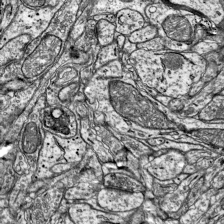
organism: Mouse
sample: Visual Cortex